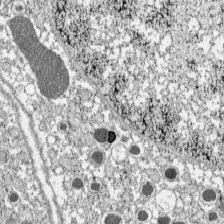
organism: C57BL Mouse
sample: Pancreatic islet